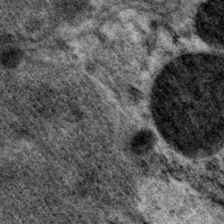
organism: P. pacificus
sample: Pharynx